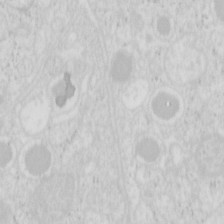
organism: Mouse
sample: Pancreas